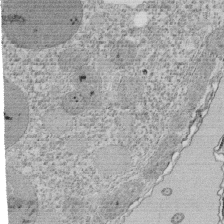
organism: Tetrahymena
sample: Cilia in tetrahymena